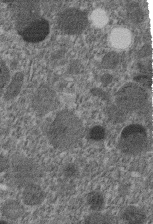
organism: C. elegans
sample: C. elegans embryo early stage